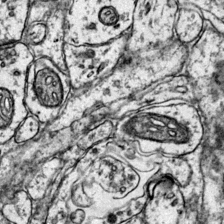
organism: Mouse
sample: Primary visual cortex